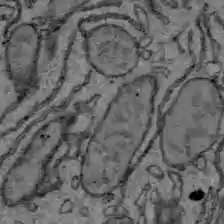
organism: C57BL Mouse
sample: Liver